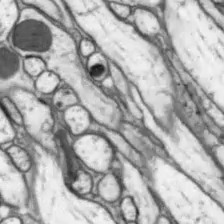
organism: Drosophila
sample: Optic lobe